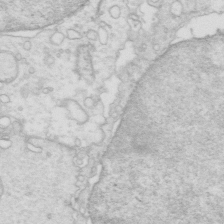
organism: Mouse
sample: Multiciliated cells